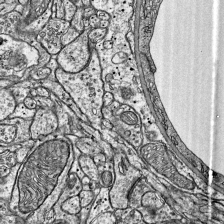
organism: Mouse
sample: Visual Cortex